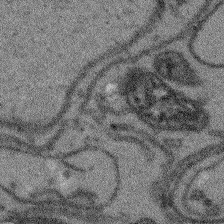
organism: Arabidopsis thaliana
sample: Root tip